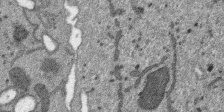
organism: Human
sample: Lung epithelial cells infected with SARS-CoV-2